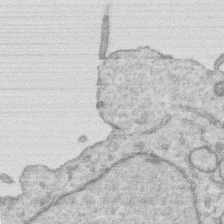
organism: Human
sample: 1205lu cells